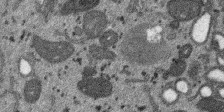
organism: Human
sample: Lung epithelial cells infected with SARS-CoV-2